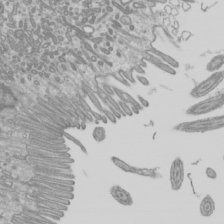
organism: Mouse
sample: Cilia; mouse epididymis